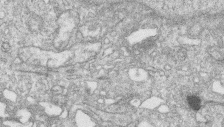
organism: Human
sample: HeLa cell HIV synapse